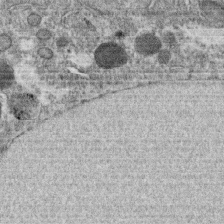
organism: C. elegans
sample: C. elegans oocyte; sperm cells